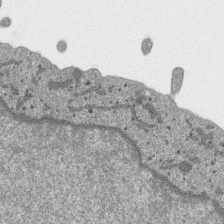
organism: Human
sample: Lung epithelial cells infected with SARS-CoV-2